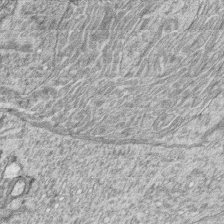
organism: Zebrafish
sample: synaptic ribbons in rod cells and cone cells